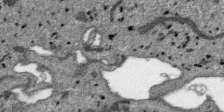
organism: Human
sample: Lung epithelial cells, uninfected (mock) control